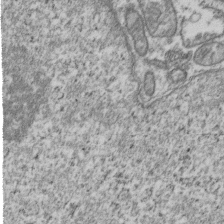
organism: Human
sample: Activated Jurkat CD4+ T cells